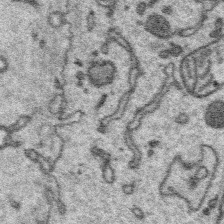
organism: Platynereis dumerilii